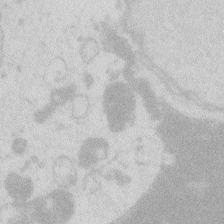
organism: Zebrafish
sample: Macrophage